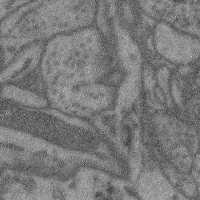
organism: Mouse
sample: Cerebral cortex